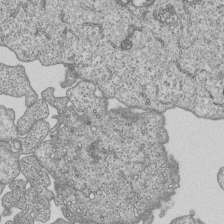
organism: Human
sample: MDA-MB-231 cells